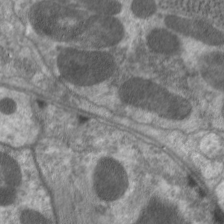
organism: C. elegans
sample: Pharynx